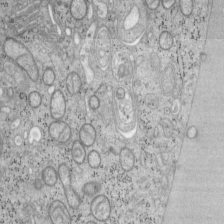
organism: Mouse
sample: OT-I killer T cells with ID8 ovarian cancer cells